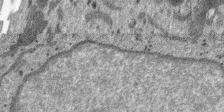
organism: Human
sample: Lung epithelial cells infected with SARS-CoV-2